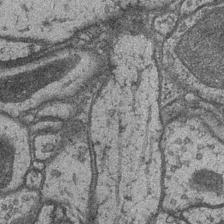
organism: Drosophila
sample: Optic medulla